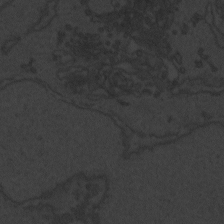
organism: Zebrafish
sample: Macrophage infected with Toxoplasma gondii